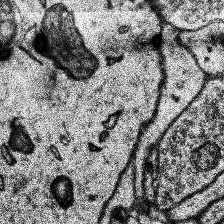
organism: Human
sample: Temporal Lobe